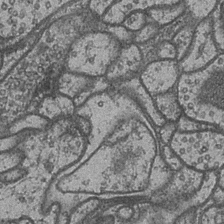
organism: Drosophila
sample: Optic medulla